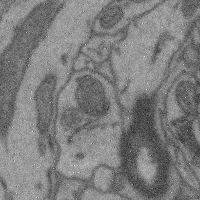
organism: Mouse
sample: Cerebral cortex